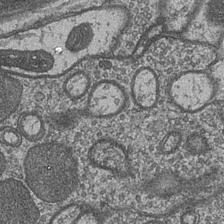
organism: Drosophila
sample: Optic medulla